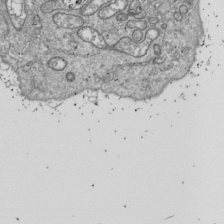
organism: Drosophila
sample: Cell division; meiosis; drosophila spermatocytes